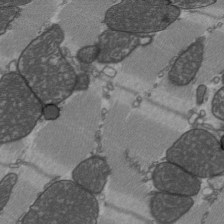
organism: C57BL Mouse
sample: Heart